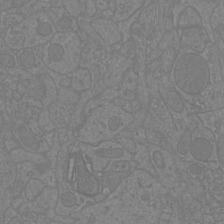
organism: Mouse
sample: Cortical neurons